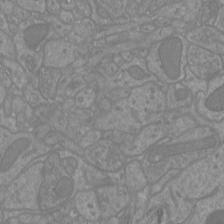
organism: Mouse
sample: Cortical neurons